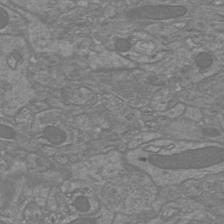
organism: Mouse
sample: Cortical neurons